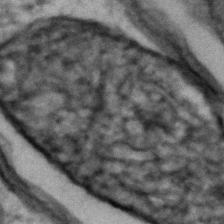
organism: Zebrafish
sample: Zebrafish embryo